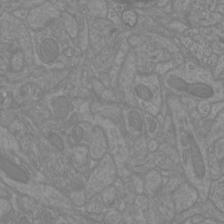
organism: Mouse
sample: Cortical neurons